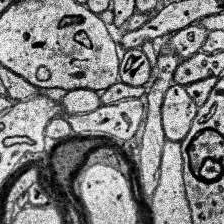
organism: Human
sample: Temporal Lobe